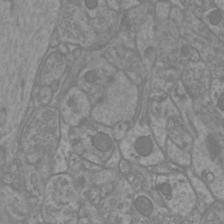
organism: Mouse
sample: Cortical neurons